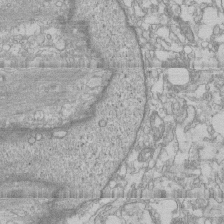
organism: Human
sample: CRL-1474